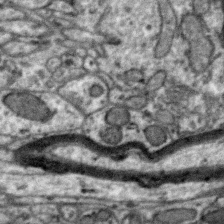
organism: Zebra finch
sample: Brain